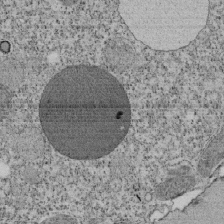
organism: Tetrahymena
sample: Cilia in tetrahymena